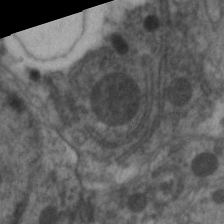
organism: C. elegans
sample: Pharynx